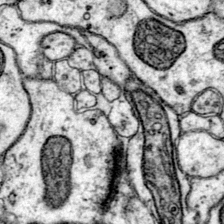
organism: Mouse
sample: Primary visual cortex